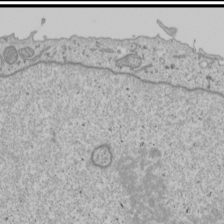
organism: Human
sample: Mitochondria in U2OS cells